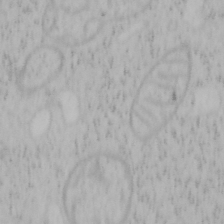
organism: Mouse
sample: OT-I killer T cells with ID8 ovarian cancer cells